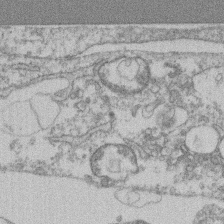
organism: Mouse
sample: T cell stromal cell synapse